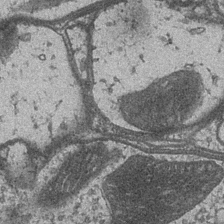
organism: Drosophila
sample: Optic medulla